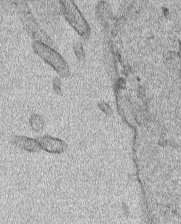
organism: Human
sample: Mitochondria in HCT116 cells